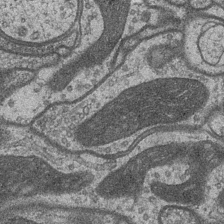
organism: Drosophila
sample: Optic medulla